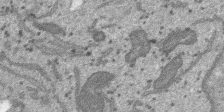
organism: Human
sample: Lung epithelial cells infected with SARS-CoV-2